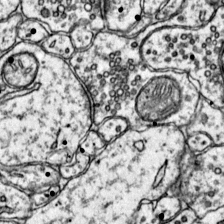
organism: Mouse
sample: Primary visual cortex